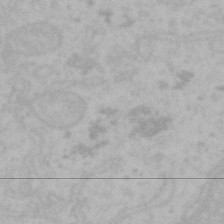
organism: Mouse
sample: Choroid plexus